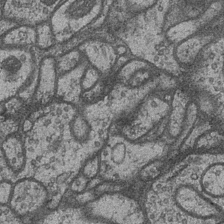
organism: Drosophila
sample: Optic medulla